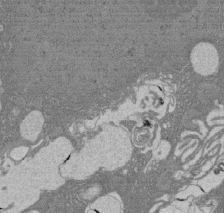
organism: Rat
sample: Salivary granule